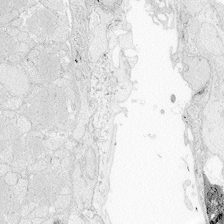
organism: Zebrafish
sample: Whole-Brain